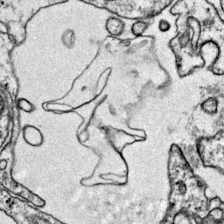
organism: Mouse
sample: Primary visual cortex